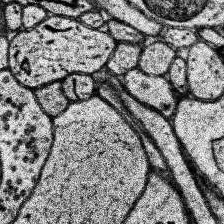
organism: Human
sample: Temporal Lobe